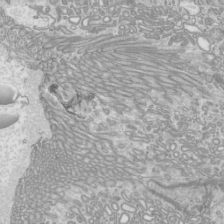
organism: Mouse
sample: Cilia; mouse epididymis